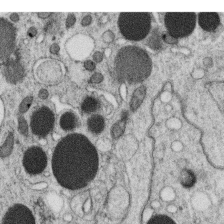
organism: C. elegans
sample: C. elegans oocyte; sperm cells